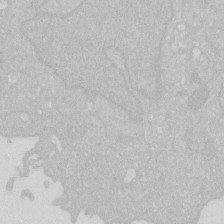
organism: Human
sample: HIV infected U937 cells